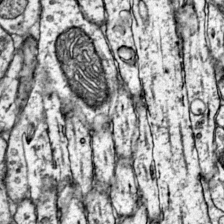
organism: Mouse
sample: Primary visual cortex